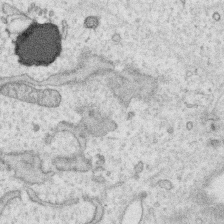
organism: Human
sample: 1205lu cells